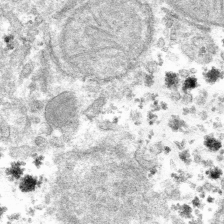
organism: Mouse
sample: Mouse hepatocytes